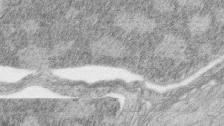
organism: Zebrafish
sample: synaptic ribbons in rod cells and cone cells